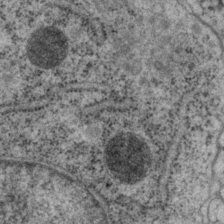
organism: P. pacificus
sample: Pharynx